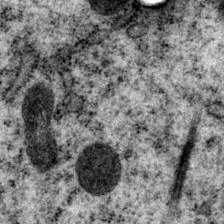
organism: P. pacificus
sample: Pharynx